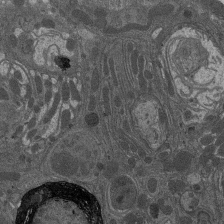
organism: Drosophila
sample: Antenna